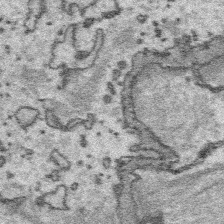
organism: Platynereis dumerilii